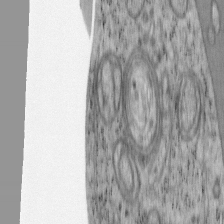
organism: Human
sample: HeLa cells